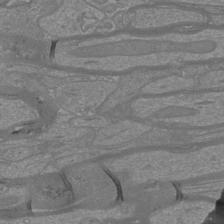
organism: Mouse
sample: Cortical neurons